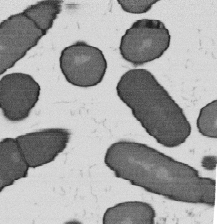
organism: B. subtilis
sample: Bacterial spore